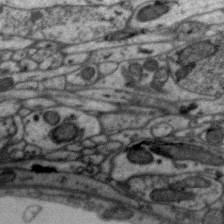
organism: Zebra finch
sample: Brain